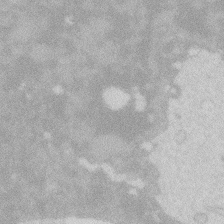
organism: Zebrafish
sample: Macrophage